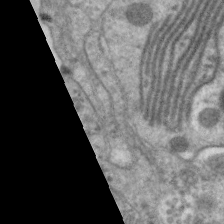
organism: C. elegans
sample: Pharynx